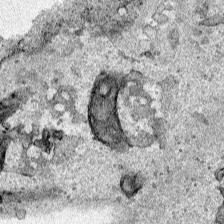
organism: Human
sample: Mitochondria in HCT116 cells